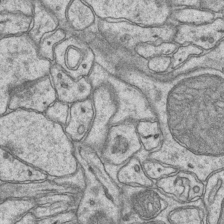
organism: Mouse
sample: CA1 Hippocampus